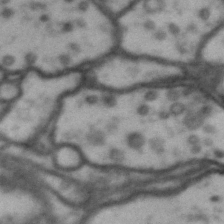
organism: Drosophila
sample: Brain